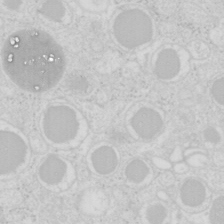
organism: Mouse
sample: Pancreas